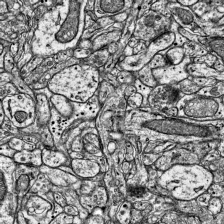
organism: Mouse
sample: Visual Cortex